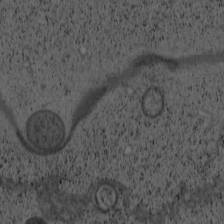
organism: African green monkey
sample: COS-7 cells